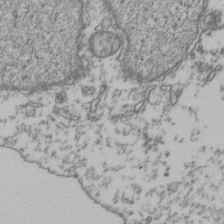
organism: Human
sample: Activated Jurkat CD4+ T cells